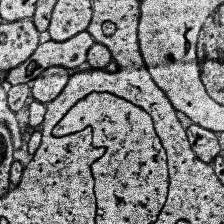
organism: Human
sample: Temporal Lobe